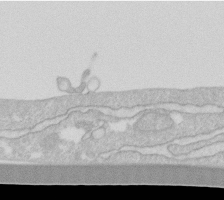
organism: Human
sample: Fibroblast cells